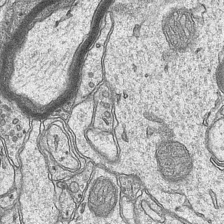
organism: Mouse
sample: CA1 Hippocampus